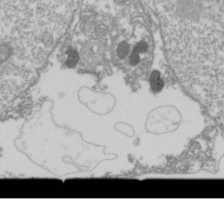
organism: Drosophila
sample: Cell division; meiosis; drosophila spermatocytes